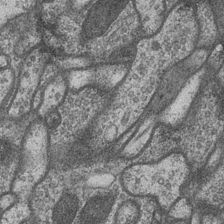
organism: Drosophila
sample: Optic medulla